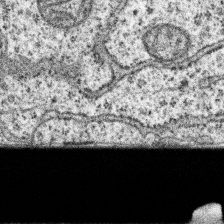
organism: Human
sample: HeLa cells